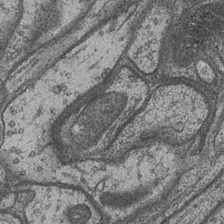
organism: Drosophila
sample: Optic medulla